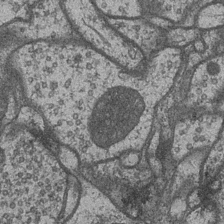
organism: Drosophila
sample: Optic medulla